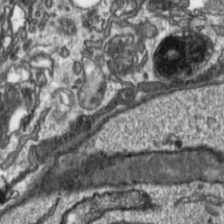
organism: Toxoplasma gondii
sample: Parasites in a vacuole inside a host cell